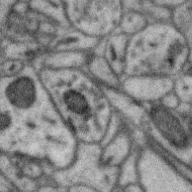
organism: Zebra finch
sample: Brain